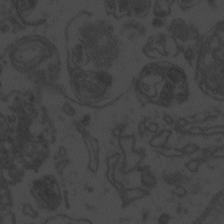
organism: Zebrafish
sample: Macrophage infected with Toxoplasma gondii